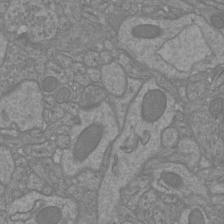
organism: Mouse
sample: Cortical neurons